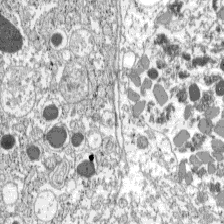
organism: C57BL Mouse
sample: Pancreatic islet